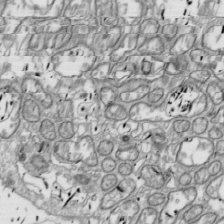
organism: Drosophila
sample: Cell division; meiosis; drosophila spermatocytes